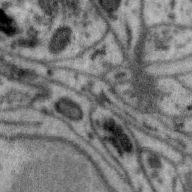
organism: Zebra finch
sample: Brain